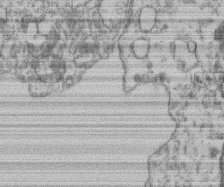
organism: Mouse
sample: T cell stromal cell synapse